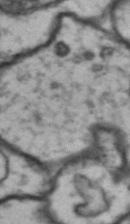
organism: Drosophila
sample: Brain